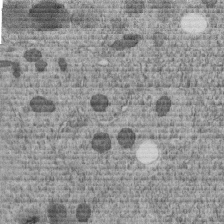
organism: C. elegans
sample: C. elegans embryo early stage